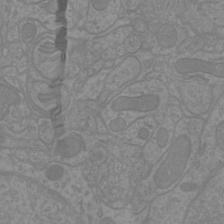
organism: Mouse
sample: Cortical neurons